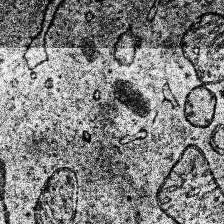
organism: Human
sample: Temporal Lobe